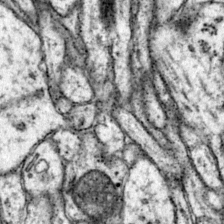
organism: Mouse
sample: Primary visual cortex